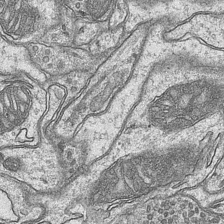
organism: Mouse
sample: CA1 Hippocampus